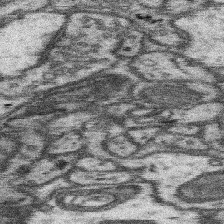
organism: Mouse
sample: Somatosensory cortex neuropil